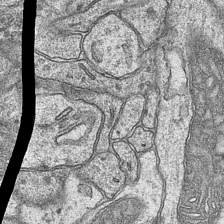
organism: Mouse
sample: CA1 Hippocampus